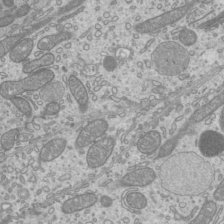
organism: Mouse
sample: Cilia; mouse epididymis